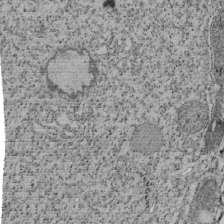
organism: Tetrahymena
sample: Cilia in tetrahymena